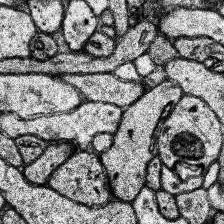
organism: Human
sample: Temporal Lobe